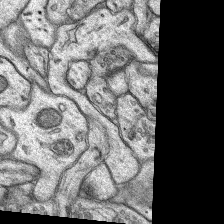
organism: Rat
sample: Hippocampus